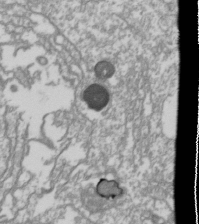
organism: Drosophila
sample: Cell division; meiosis; drosophila spermatocytes